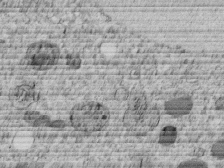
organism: C. elegans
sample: C. elegans embryo early stage